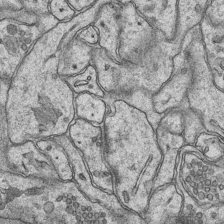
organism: Mouse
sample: CA1 Hippocampus